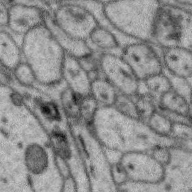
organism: Zebra finch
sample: Brain